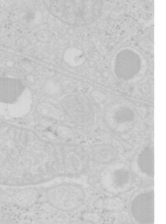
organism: Mouse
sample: Pancreas